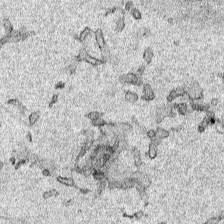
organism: Human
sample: Mitochondria in HCT116 cells